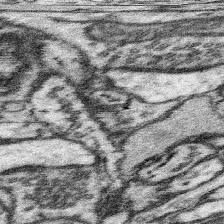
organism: Mouse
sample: Somatosensory cortex neuropil